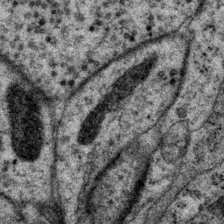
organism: P. pacificus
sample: Pharynx